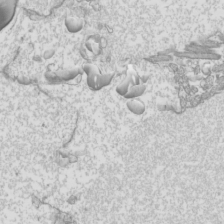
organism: Mouse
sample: Cilia; mouse epididymis